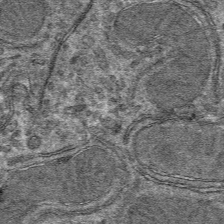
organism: Mouse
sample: Mouse hepatocytes